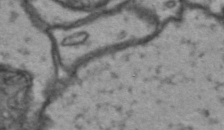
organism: Drosophila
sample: Brain